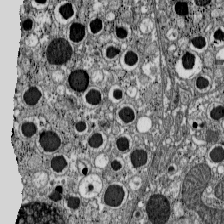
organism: C57BL Mouse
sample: Pancreatic islet